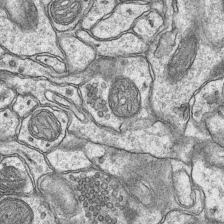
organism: Mouse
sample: CA1 Hippocampus